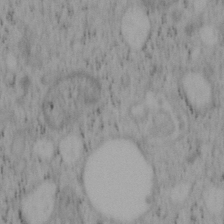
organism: Mouse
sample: OT-I killer T cells with ID8 ovarian cancer cells